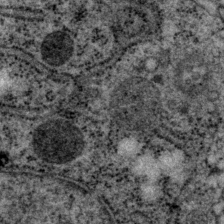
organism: P. pacificus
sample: Pharynx